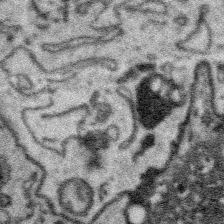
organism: Platynereis dumerilii